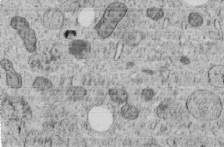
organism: C. elegans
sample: C. elegans embryo early stage